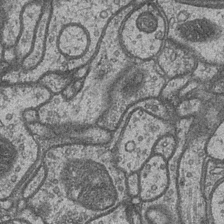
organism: Drosophila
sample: Optic medulla